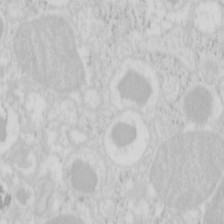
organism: Mouse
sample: Pancreas